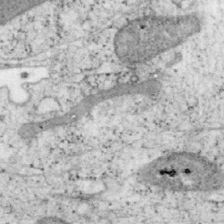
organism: Mouse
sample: OT-I killer T cells with ID8 ovarian cancer cells